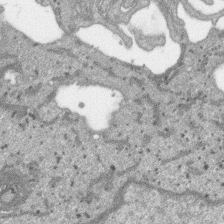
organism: Human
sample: Lung epithelial cells infected with SARS-CoV-2